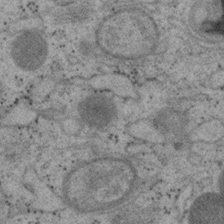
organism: Human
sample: HeLa cells